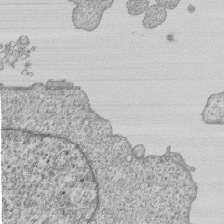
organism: Human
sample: MDA-MB-231 cells